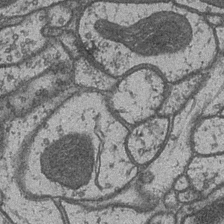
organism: Drosophila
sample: Optic medulla